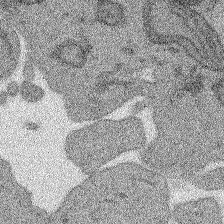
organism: Human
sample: HeLa cells